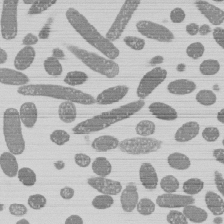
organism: E. coli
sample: Bacterial nucleoid